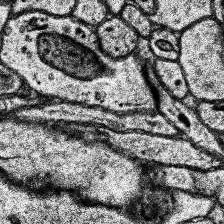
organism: Human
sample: Temporal Lobe